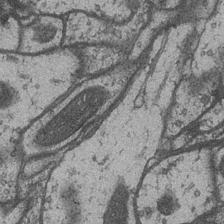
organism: Drosophila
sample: Optic medulla